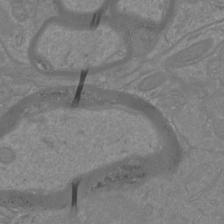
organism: Mouse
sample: Cortical neurons